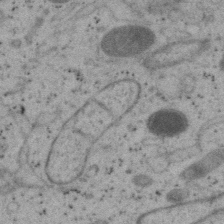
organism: Human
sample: HeLa cells